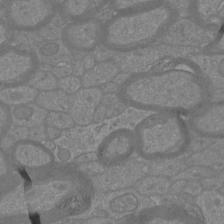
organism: Mouse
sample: Cortical neurons